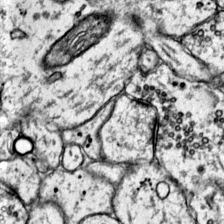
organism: Mouse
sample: Primary visual cortex